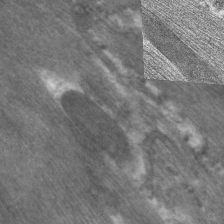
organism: C. elegans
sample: Pharynx